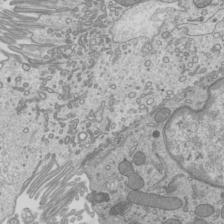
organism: Mouse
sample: Cilia; mouse epididymis